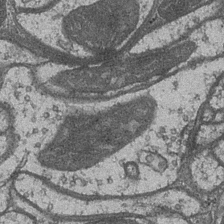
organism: Drosophila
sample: Optic medulla